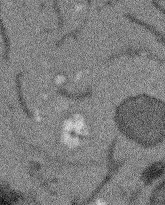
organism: Arabidopsis thaliana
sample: Root tip